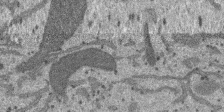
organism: Human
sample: Lung epithelial cells infected with SARS-CoV-2